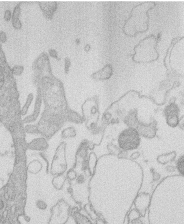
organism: Human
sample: Macrophage cells